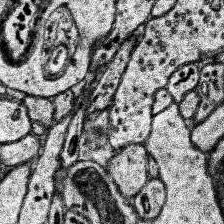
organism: Human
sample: Temporal Lobe